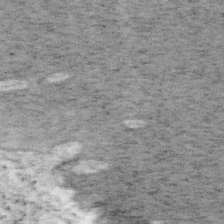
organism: Mouse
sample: OT-I killer T cells with ID8 ovarian cancer cells